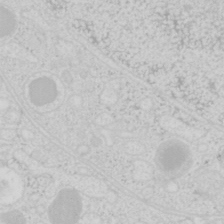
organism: Mouse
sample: Pancreas